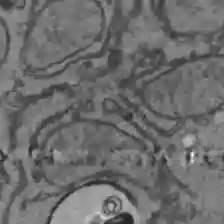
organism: C57BL Mouse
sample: Liver